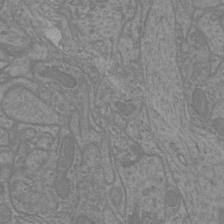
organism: Mouse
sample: Cortical neurons